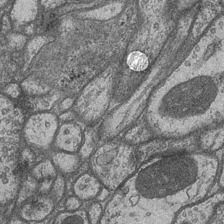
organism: Drosophila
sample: Optic medulla